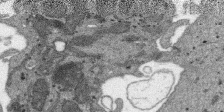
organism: Human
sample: Lung epithelial cells infected with SARS-CoV-2